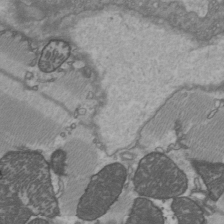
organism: C57BL Mouse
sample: Heart